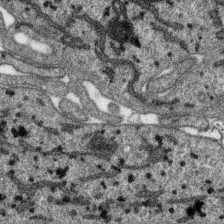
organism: Human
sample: Lung epithelial cells infected with SARS-CoV-2